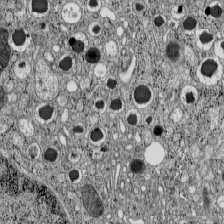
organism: C57BL Mouse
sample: Pancreatic islet